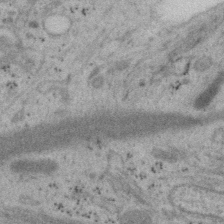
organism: Human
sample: HeLa cells